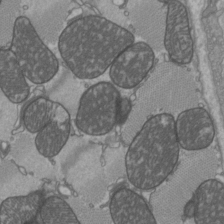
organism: C57BL Mouse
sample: Heart